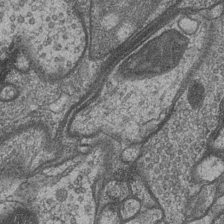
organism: Drosophila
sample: Optic medulla